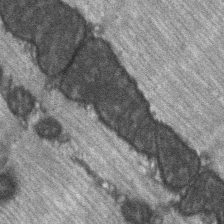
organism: C57BL Mouse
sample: Soleus